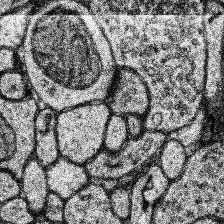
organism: Human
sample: Temporal Lobe